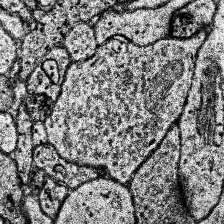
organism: Human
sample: Temporal Lobe